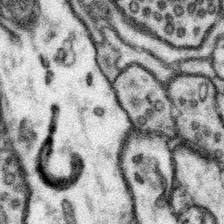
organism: Mouse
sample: Somatosensory cortex neuropil